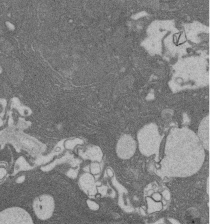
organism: Rat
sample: Salivary granule